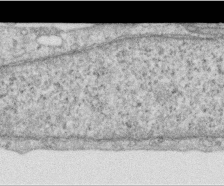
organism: Human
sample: Centriole in RPE cells